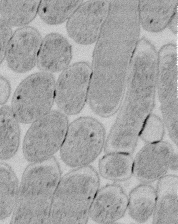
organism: E. coli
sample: Bacterial nucleoid